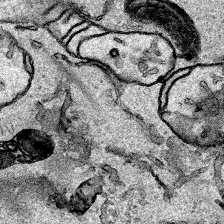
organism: Human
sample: Mitochondria in HCT116 cells